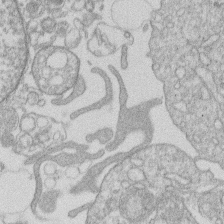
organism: Human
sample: Macrophage cells